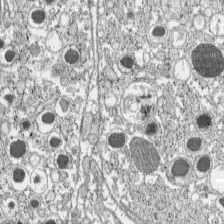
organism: C57BL Mouse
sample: Pancreatic islet